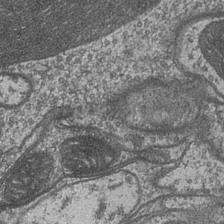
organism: Drosophila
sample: Optic medulla